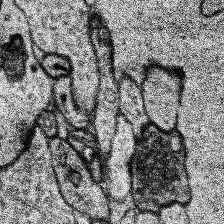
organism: Human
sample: Temporal Lobe